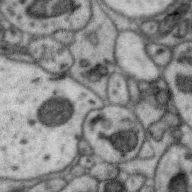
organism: Zebra finch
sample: Brain